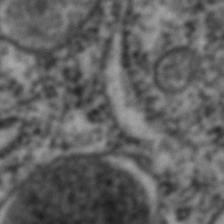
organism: C. elegans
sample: C. elegans embryo